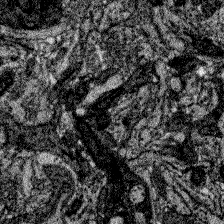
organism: Zebrafish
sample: Larval olfactory bulb